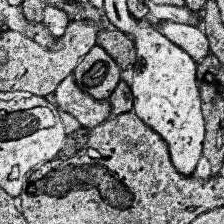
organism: Human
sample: Temporal Lobe